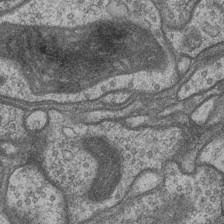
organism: Drosophila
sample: Optic medulla